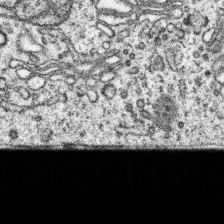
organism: Human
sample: HeLa cells